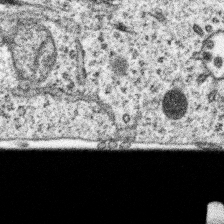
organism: Human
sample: HeLa cells